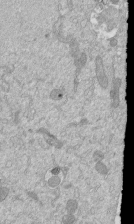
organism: Mouse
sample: ED-1 cell nuclei; centrioles